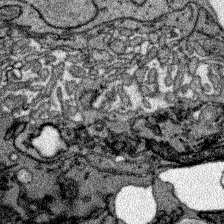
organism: Zebrafish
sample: Larval olfactory bulb